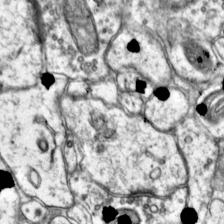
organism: Mouse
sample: Primary visual cortex